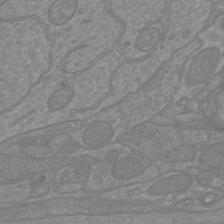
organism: Mouse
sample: Cortical neurons